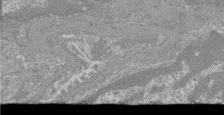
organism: Mouse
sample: Glomerulus